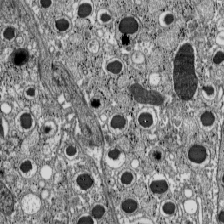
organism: C57BL Mouse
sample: Pancreatic islet